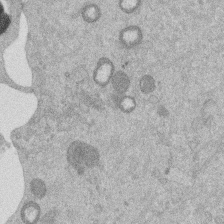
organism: Mouse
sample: Dividing mouse embryo 1 cell stage